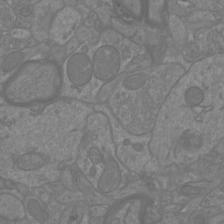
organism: Mouse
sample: Cortical neurons